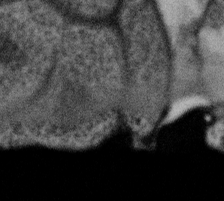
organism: Gemmata obscuriglobus